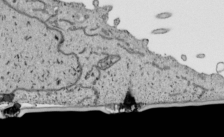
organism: Human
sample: Mitochondria in HCT116 cells